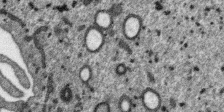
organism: Human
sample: Lung epithelial cells infected with SARS-CoV-2